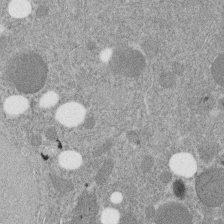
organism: C. elegans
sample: C. elegans embryo early stage